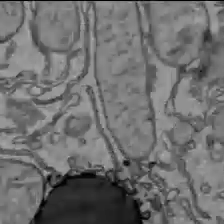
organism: C57BL Mouse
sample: Liver